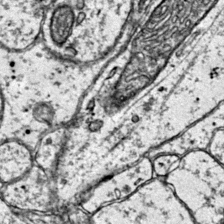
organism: Mouse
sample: Primary visual cortex